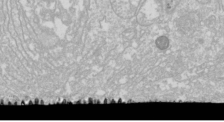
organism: Drosophila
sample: Cell division; meiosis; drosophila spermatocytes